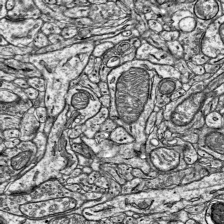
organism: Mouse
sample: Visual Cortex